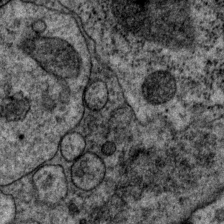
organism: P. pacificus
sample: Pharynx